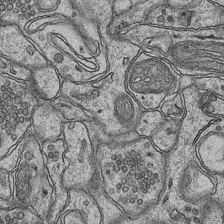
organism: Mouse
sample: CA1 Hippocampus